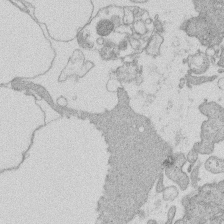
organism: Human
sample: Macrophage cells